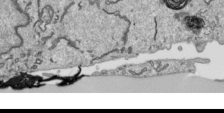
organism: Human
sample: Mitochondria in HCT116 cells